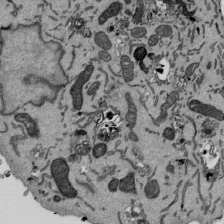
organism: Mouse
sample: ED-1 cell nuclei; centrioles